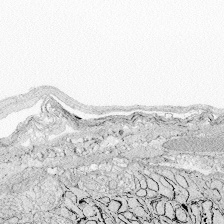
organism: Zebrafish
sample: Whole-Brain